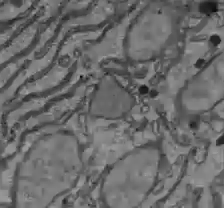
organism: C57BL Mouse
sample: Liver